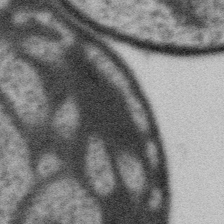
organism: Gemmata obscuriglobus